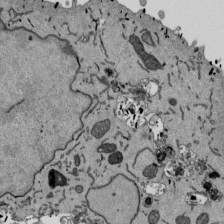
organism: Mouse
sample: ED-1 cell nuclei; centrioles